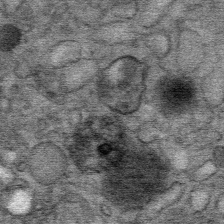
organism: Mouse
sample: Mouse Salivary gland